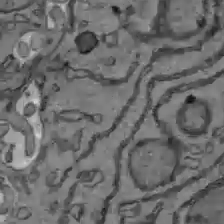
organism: C57BL Mouse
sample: Liver